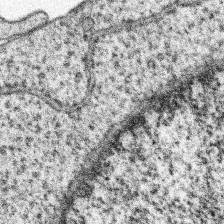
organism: Human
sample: HeLa cells